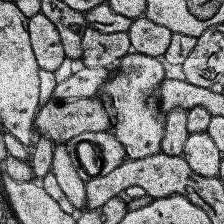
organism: Human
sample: Temporal Lobe